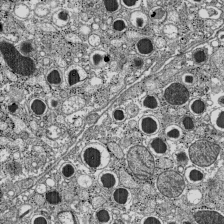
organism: C57BL Mouse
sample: Pancreatic islet